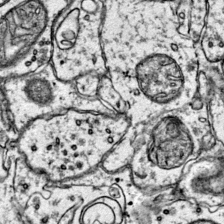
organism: Mouse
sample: Primary visual cortex